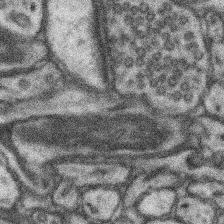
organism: Mouse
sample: Somatosensory cortex neuropil